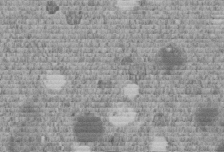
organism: C. elegans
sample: C. elegans embryo early stage